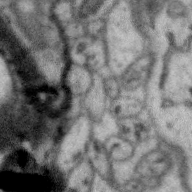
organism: Zebra finch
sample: Brain